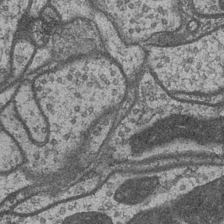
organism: Drosophila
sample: Optic medulla